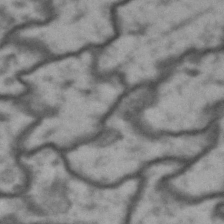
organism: Drosophila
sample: Brain